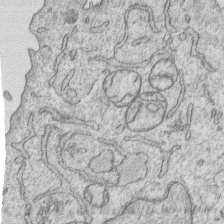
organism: Human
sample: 1205lu cells